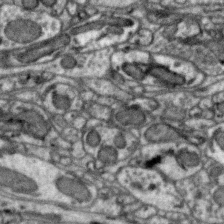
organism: Zebra finch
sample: Brain